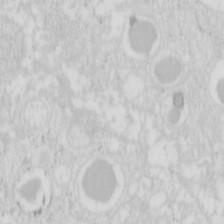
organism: Mouse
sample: Pancreas